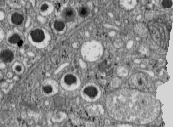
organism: C57BL Mouse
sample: Pancreatic islet